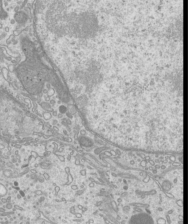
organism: Mouse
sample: Cilia; mouse epididymis